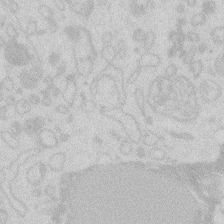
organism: Zebrafish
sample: Macrophage